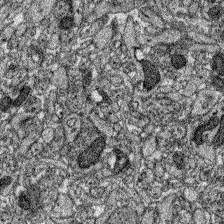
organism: Zebrafish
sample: Larval olfactory bulb